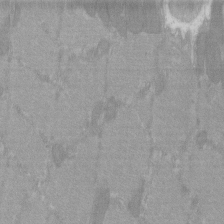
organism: C57BL Mouse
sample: Tibialis anterior muscle cell